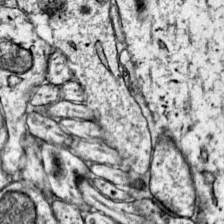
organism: Mouse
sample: Primary visual cortex